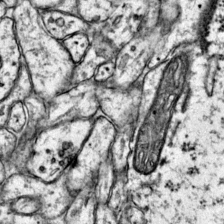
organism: Mouse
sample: Primary visual cortex